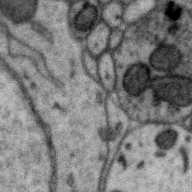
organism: Zebra finch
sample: Brain